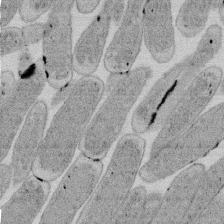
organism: E. coli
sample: Bacterial nucleoid